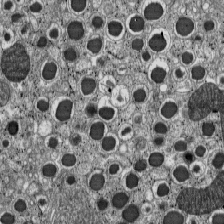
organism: C57BL Mouse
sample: Pancreatic islet